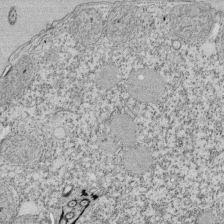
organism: Tetrahymena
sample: Cilia in tetrahymena